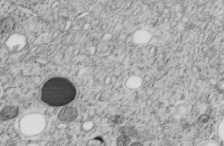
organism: C. elegans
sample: C. elegans embryo early stage